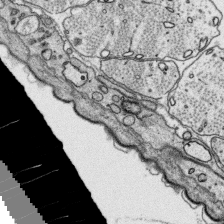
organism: Platynereis dumerilii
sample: Parapodia